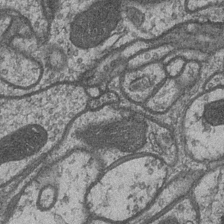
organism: Drosophila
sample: Optic medulla